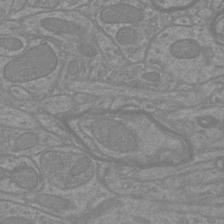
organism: Mouse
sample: Cortical neurons